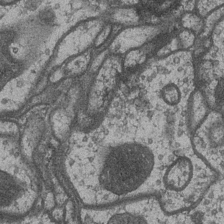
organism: Drosophila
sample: Optic medulla